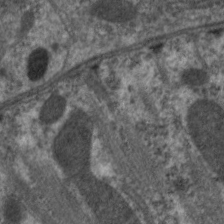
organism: C. elegans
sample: Pharynx